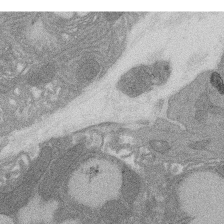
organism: Rat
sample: Salivary granule